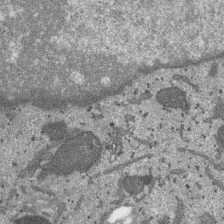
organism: Human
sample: Lung epithelial cells infected with SARS-CoV-2